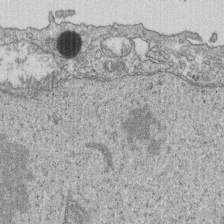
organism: Human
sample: HeLa cell HIV synapse